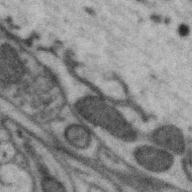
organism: Zebra finch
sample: Brain